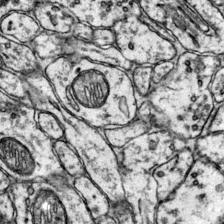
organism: Mouse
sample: Primary visual cortex